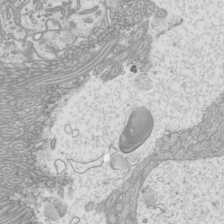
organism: Mouse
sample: Cilia; mouse epididymis